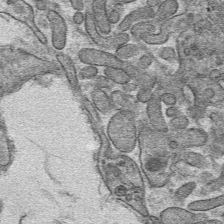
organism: Mouse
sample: Mouse hepatocytes